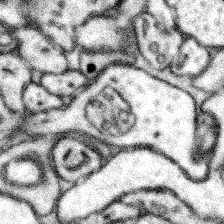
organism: Mouse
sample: Somatosensory cortex neuropil